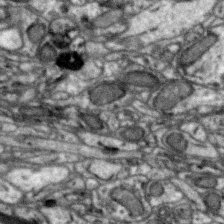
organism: Zebra finch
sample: Brain